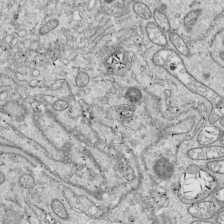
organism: Drosophila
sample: Cell division; meiosis; drosophila spermatocytes